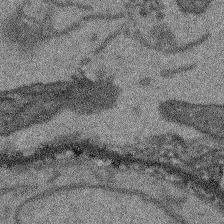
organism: Arabidopsis thaliana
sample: Root tip